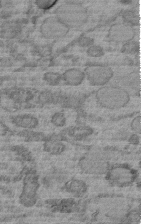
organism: C. elegans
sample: C. elegans embryo early stage